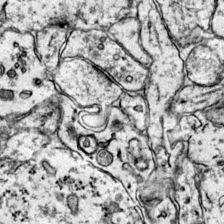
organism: Mouse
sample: Primary visual cortex